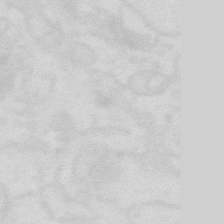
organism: Human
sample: HeLa cells